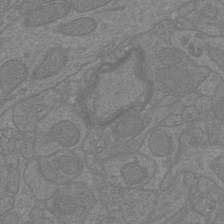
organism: Mouse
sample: Cortical neurons